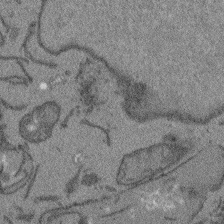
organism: Arabidopsis thaliana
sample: Root tip